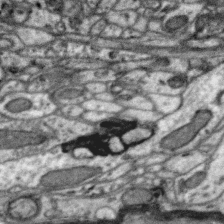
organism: Zebra finch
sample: Brain